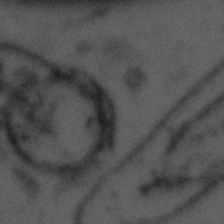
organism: Tuwongella immobilis